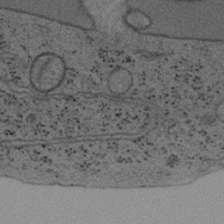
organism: Human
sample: HeLa cells